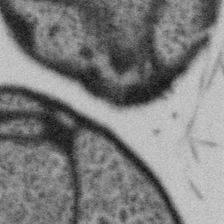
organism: Gemmata obscuriglobus